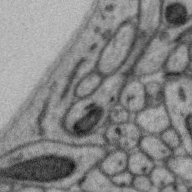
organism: Zebra finch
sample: Brain